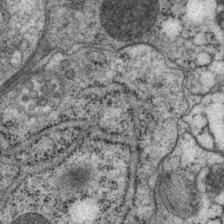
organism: P. pacificus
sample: Pharynx